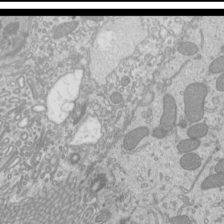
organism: Mouse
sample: Cilia; mouse epididymis